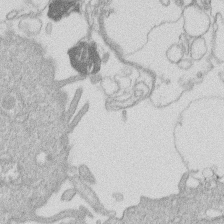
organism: Human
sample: Macrophage cells